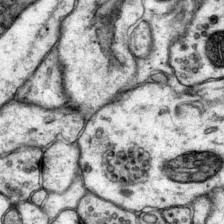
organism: Mouse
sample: Primary visual cortex